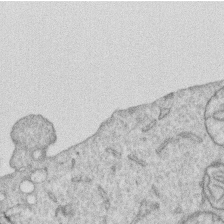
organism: Human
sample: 1205lu cells